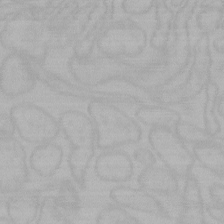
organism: Mouse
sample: Choroid plexus